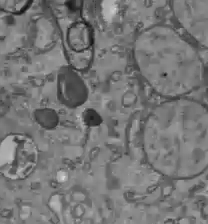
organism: C57BL Mouse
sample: Liver